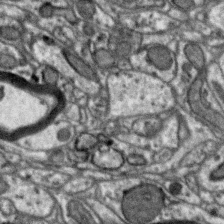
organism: Zebra finch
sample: Brain